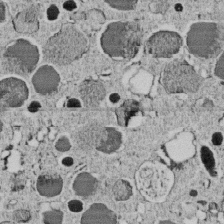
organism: C. elegans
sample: C. elegans embryo early stage